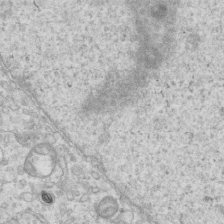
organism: Mouse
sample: Centriole in ependymal cells